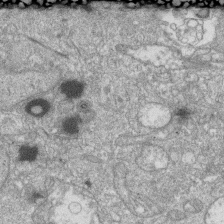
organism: Human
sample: HeLa cell HIV synapse